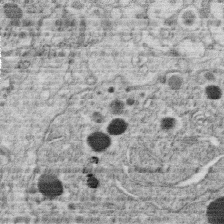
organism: C. elegans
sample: C. elegans oocyte; sperm cells